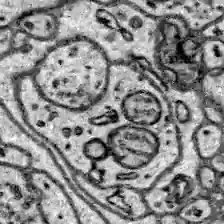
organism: Zebrafish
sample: Brain